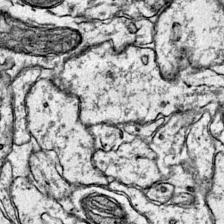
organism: Mouse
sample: Primary visual cortex